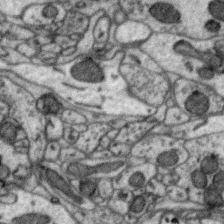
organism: Zebra finch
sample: Brain